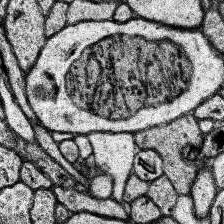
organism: Human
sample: Temporal Lobe